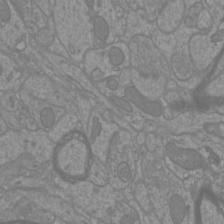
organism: Mouse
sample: Cortical neurons